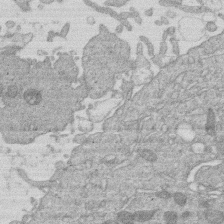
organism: Human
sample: Macrophage cells